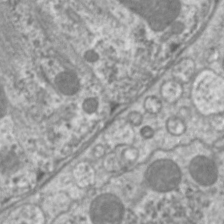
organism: C. elegans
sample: Pharynx